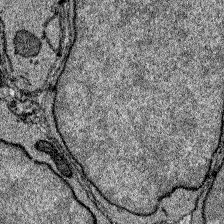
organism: Zebrafish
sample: Larval olfactory bulb